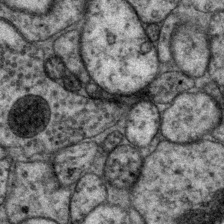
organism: P. pacificus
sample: Pharynx